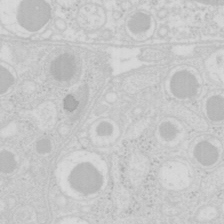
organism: Mouse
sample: Pancreas